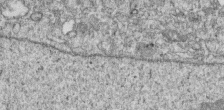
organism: Human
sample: HeLa cell HIV synapse